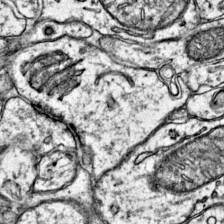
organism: Mouse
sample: Primary visual cortex